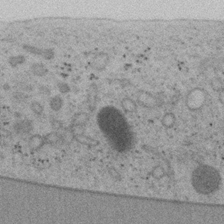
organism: Human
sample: HeLa cells